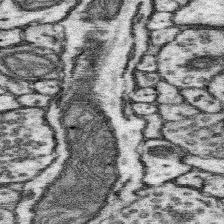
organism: Mouse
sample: Somatosensory cortex neuropil